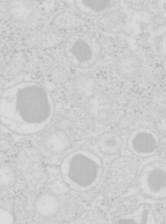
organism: Mouse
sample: Pancreas